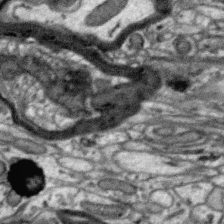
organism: Zebra finch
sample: Brain